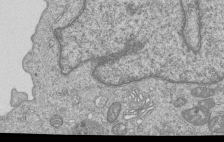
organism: Human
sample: MDA-MB-231 cells